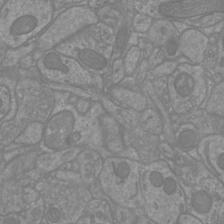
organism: Mouse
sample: Cortical neurons